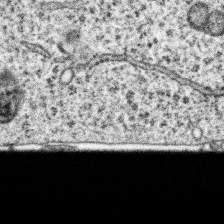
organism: Human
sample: HeLa cells